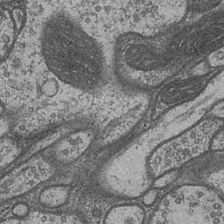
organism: Drosophila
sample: Optic medulla